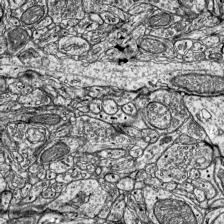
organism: Mouse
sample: Visual Cortex